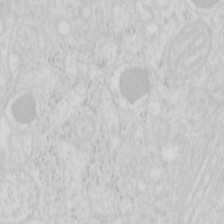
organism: Mouse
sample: Pancreas